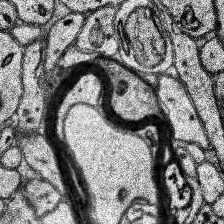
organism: Human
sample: Temporal Lobe